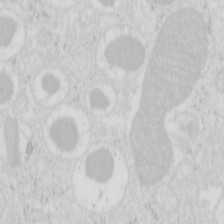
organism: Mouse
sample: Pancreas